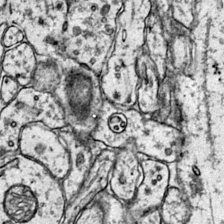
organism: Mouse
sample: Primary visual cortex